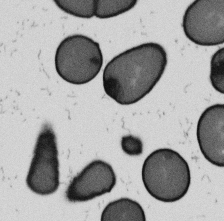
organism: B. subtilis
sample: Bacterial spore